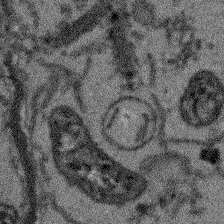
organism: Arabidopsis thaliana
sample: Root tip